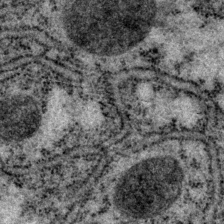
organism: P. pacificus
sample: Pharynx